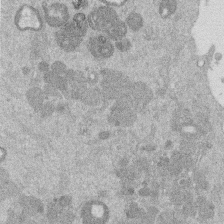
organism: Mouse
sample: Dividing mouse embryo 1 cell stage